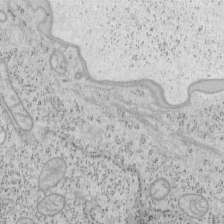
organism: Mouse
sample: OT-I killer T cells with ID8 ovarian cancer cells